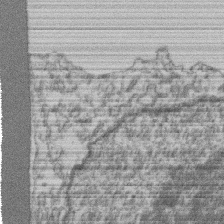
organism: Mouse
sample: T cell stromal cell synapse